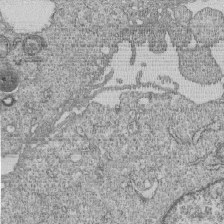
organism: Human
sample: MDA-MB-231 cells